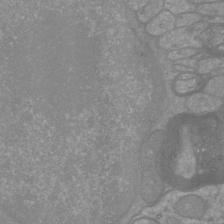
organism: Mouse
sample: Cortical neurons